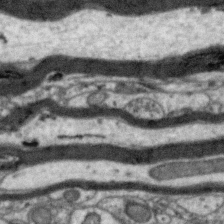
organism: Zebra finch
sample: Brain